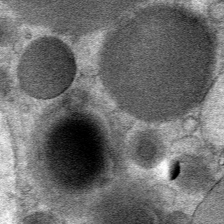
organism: Mouse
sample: Mouse Salivary gland